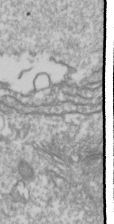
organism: Drosophila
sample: Cell division; meiosis; drosophila spermatocytes